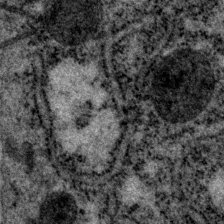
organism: P. pacificus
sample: Pharynx